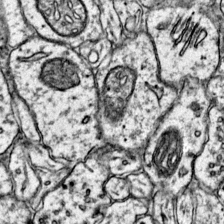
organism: Mouse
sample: Primary visual cortex